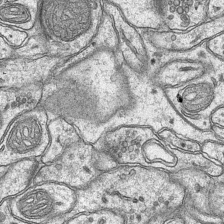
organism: Mouse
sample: CA1 Hippocampus